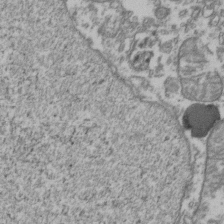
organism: Human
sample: Activated Jurkat CD4+ T cells